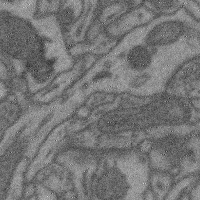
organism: Mouse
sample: Cerebral cortex